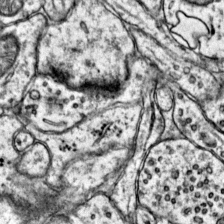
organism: Mouse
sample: Primary visual cortex